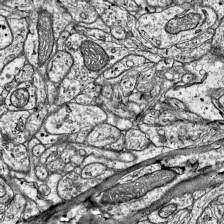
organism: Mouse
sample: Visual Cortex